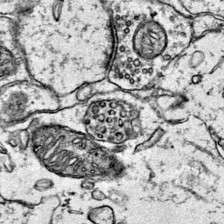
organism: Mouse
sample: Primary visual cortex